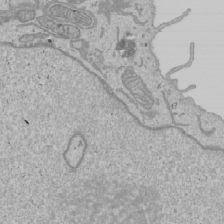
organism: Human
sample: Mitochondria in U2OS cells